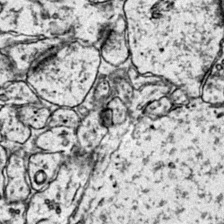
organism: Mouse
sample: Primary visual cortex